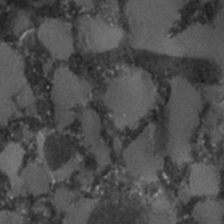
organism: C. elegans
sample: C. elegans embryo